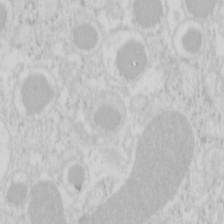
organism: Mouse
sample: Pancreas